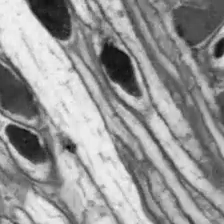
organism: Drosophila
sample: Optic lobe